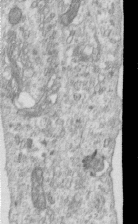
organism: Human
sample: Centriole in RPE cells